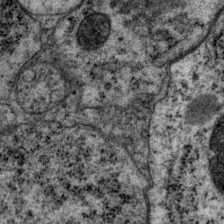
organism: P. pacificus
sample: Pharynx